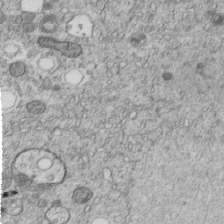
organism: C. elegans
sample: C. elegans embryo early stage